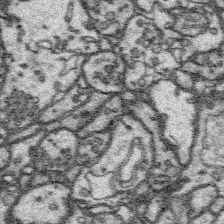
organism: Platynereis dumerilii